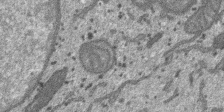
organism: Human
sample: Lung epithelial cells infected with SARS-CoV-2